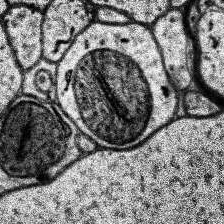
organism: Human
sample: Temporal Lobe